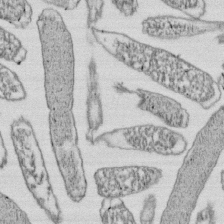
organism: E. coli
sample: Bacterial nucleoid